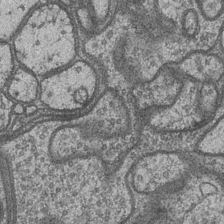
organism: Drosophila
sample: Optic medulla